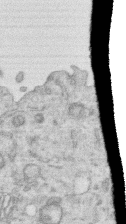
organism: Human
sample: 1205lu cells